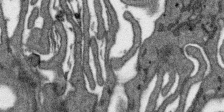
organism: Human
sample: Lung epithelial cells, uninfected (mock) control